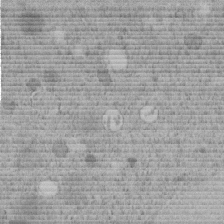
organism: C. elegans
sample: C. elegans embryo early stage